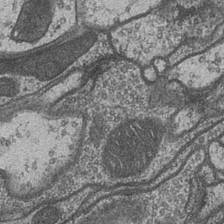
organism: Drosophila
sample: Optic medulla